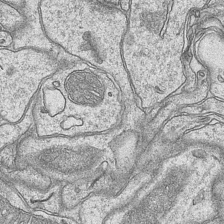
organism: Mouse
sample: CA1 Hippocampus